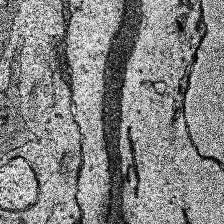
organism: Human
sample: Temporal Lobe